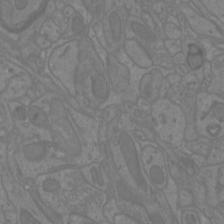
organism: Mouse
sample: Cortical neurons